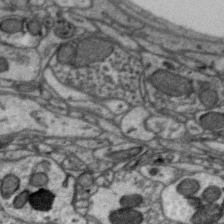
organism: Zebra finch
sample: Brain